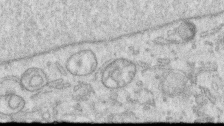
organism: Human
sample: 1205lu cells